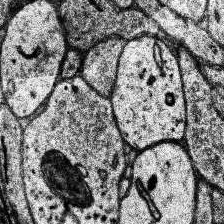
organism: Human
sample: Temporal Lobe